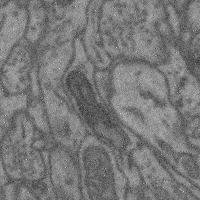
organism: Mouse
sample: Cerebral cortex